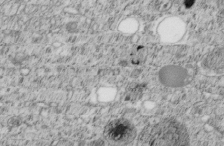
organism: C. elegans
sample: C. elegans embryo early stage